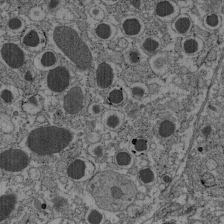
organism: C57BL Mouse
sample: Pancreatic islet